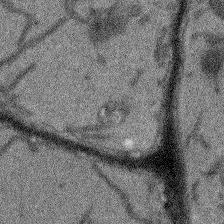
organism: Arabidopsis thaliana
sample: Root tip